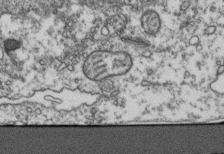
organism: Human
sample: Activated Jurkat CD4+ T cells